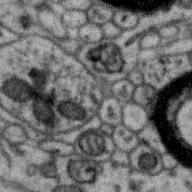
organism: Zebra finch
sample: Brain